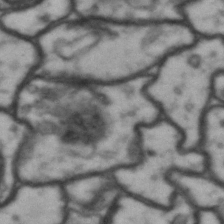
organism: Drosophila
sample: Brain